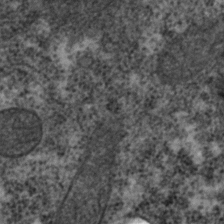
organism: C. elegans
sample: C. elegans embryo